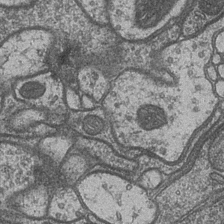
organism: Drosophila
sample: Optic medulla